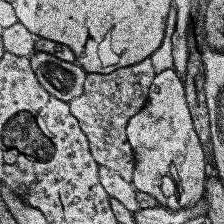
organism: Human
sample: Temporal Lobe